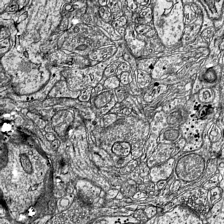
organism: Mouse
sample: Visual Cortex